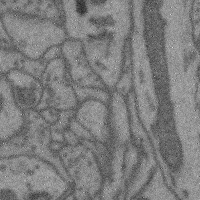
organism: Mouse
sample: Cerebral cortex